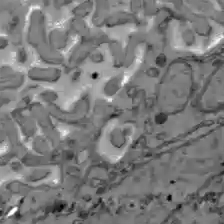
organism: C57BL Mouse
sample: Liver